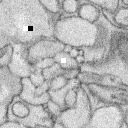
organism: Rabbit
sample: Retina